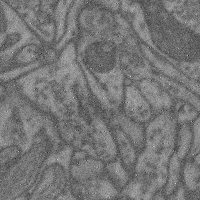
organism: Mouse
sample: Cerebral cortex